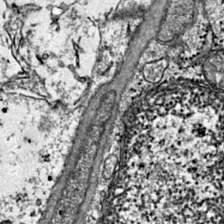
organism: Mouse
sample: Primary visual cortex